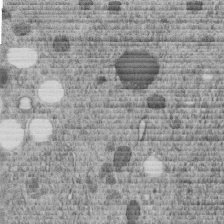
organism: C. elegans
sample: C. elegans embryo early stage